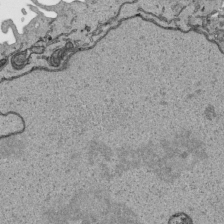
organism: Human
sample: Mitochondria in HCT116 cells